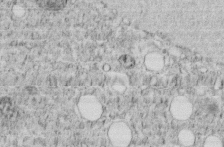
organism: C. elegans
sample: C. elegans embryo early stage